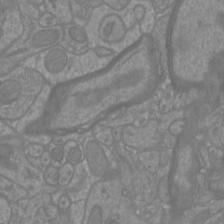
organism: Mouse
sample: Cortical neurons